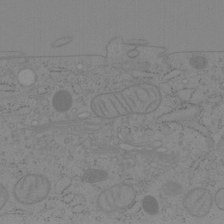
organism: Human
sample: HeLa cells